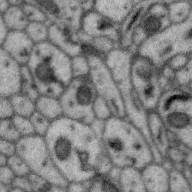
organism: Zebra finch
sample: Brain